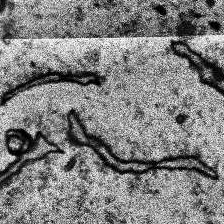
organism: Human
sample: Temporal Lobe